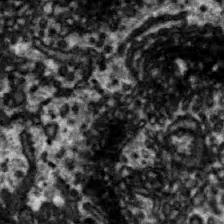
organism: Human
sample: HeLa cells